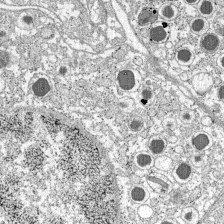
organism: C57BL Mouse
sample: Pancreatic islet